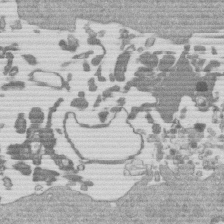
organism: Mouse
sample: Dividing mouse embryo 1 cell stage